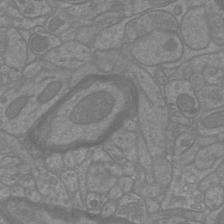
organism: Mouse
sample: Cortical neurons